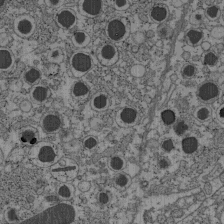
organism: C57BL Mouse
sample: Pancreatic islet